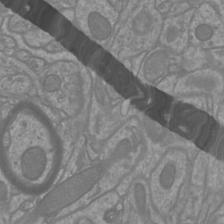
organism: Mouse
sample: Cortical neurons